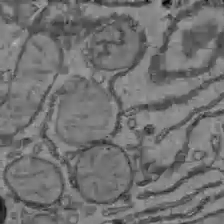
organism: C57BL Mouse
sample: Liver